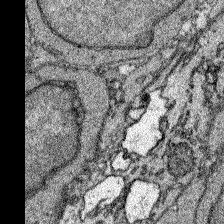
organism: Zebrafish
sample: Larval olfactory bulb